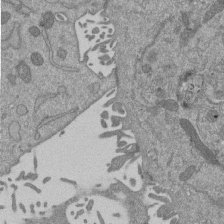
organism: Mouse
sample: ED-1 cell nuclei; centrioles